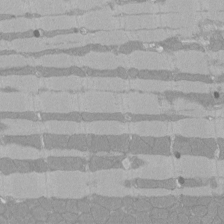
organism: Rat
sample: Left ventricle